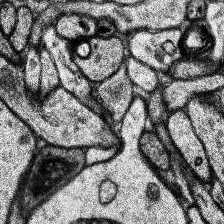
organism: Human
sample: Temporal Lobe